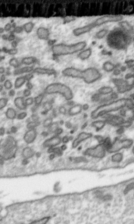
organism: Toxoplasma gondii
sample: Parasites in a vacuole inside a host cell